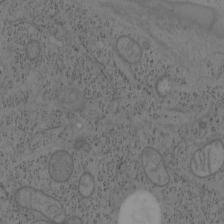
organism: Mouse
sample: OT-I killer T cells with ID8 ovarian cancer cells